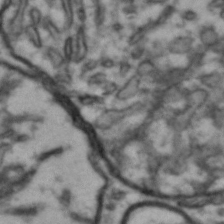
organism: Drosophila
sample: Brain